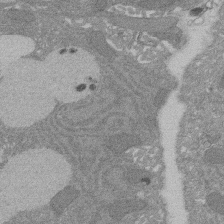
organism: Rat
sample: Salivary granule